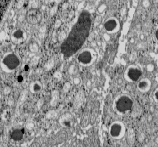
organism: C57BL Mouse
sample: Pancreatic islet